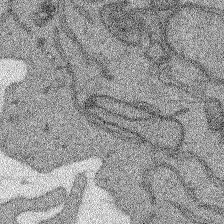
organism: Human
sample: HeLa cells